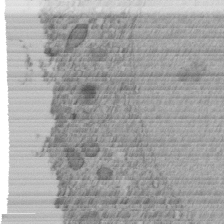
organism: C. elegans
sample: C. elegans embryo early stage